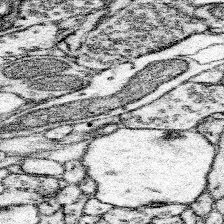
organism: Mouse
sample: Somatosensory cortex neuropil